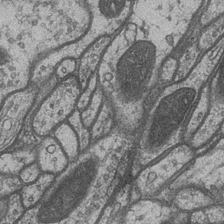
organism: Drosophila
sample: Optic medulla